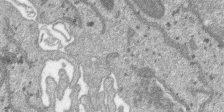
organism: Human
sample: Lung epithelial cells infected with SARS-CoV-2